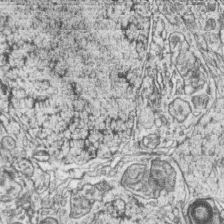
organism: Zebrafish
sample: synaptic ribbons in rod cells and cone cells